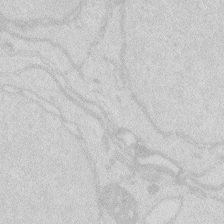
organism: Zebrafish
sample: Macrophage